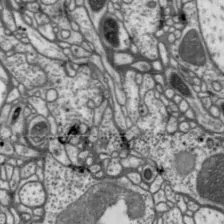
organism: Drosophila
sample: Protocerebral bridge